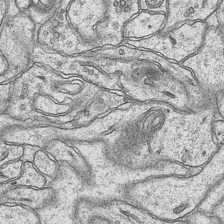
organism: Mouse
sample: CA1 Hippocampus